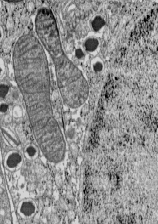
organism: C57BL Mouse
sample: Pancreatic islet